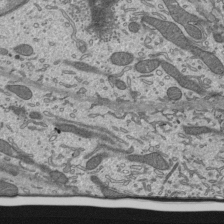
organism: Mouse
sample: Mouse epididymis efferent ductule cilia